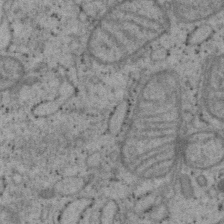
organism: Human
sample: HeLa cells